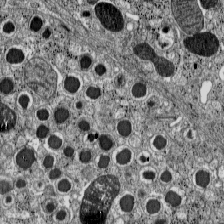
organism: C57BL Mouse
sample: Pancreatic islet